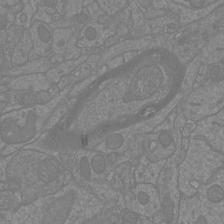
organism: Mouse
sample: Cortical neurons